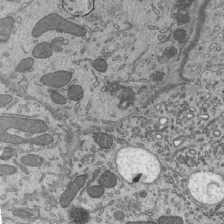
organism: Mouse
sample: Mouse epididymis efferent ductule cilia